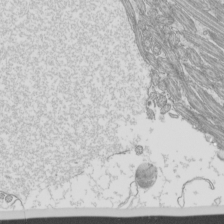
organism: Mouse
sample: Cilia; mouse epididymis